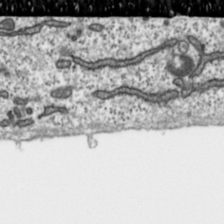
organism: Toxoplasma gondii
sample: Parasites in a vacuole inside a host cell